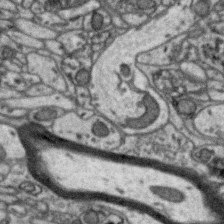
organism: Zebra finch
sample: Brain